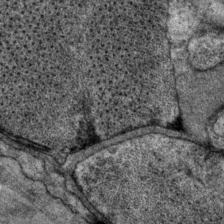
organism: P. pacificus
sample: Pharynx